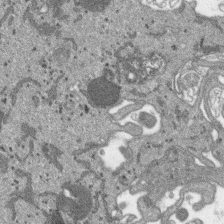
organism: Human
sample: Lung epithelial cells infected with SARS-CoV-2